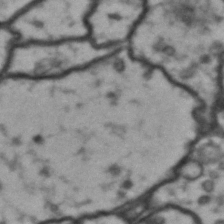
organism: Drosophila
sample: Brain